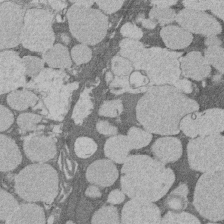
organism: Rat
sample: Salivary granule